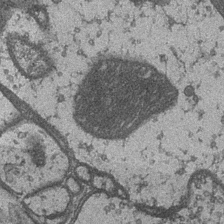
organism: Drosophila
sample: Optic medulla